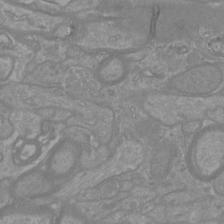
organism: Mouse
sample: Cortical neurons